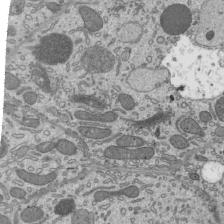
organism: Mouse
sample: Mouse epididymis efferent ductule cilia